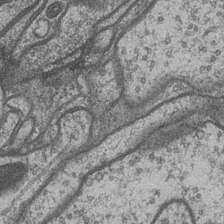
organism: Drosophila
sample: Optic medulla